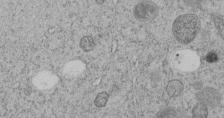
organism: C. elegans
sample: C. elegans embryo early stage